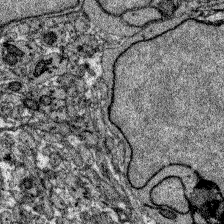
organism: Zebrafish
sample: Larval olfactory bulb